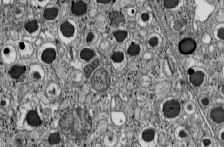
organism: C57BL Mouse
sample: Pancreatic islet